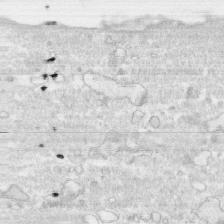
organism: Human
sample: CRL-1474